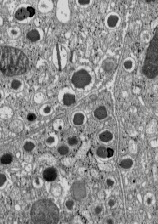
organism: C57BL Mouse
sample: Pancreatic islet